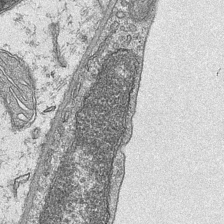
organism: Mouse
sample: CA1 Hippocampus